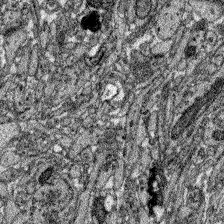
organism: Zebrafish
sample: Larval olfactory bulb